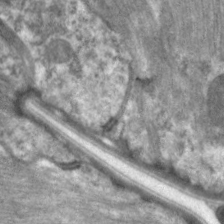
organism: C. elegans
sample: Pharynx